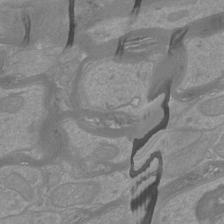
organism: Mouse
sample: Cortical neurons